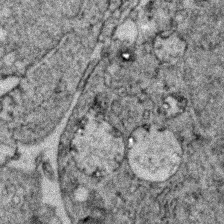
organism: Zebrafish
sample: Zebrafish embryo